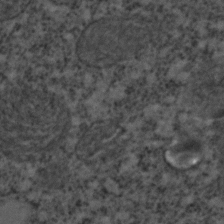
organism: C. elegans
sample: C. elegans embryo